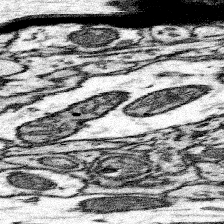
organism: Mouse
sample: Somatosensory cortex neuropil